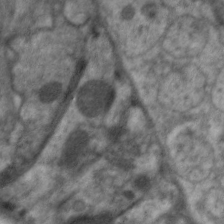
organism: C. elegans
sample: Pharynx